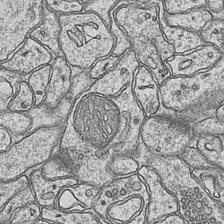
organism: Mouse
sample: CA1 Hippocampus